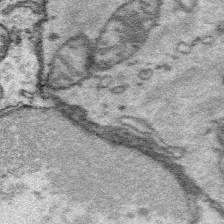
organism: Platynereis dumerilii